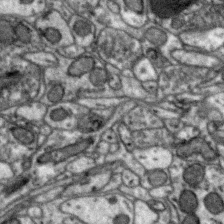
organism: Zebra finch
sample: Brain